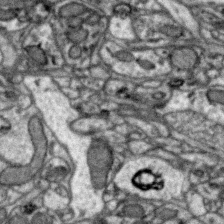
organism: Zebra finch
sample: Brain